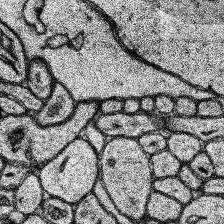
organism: Human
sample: Temporal Lobe